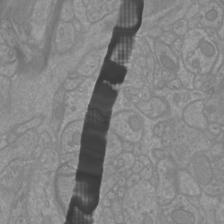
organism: Mouse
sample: Cortical neurons